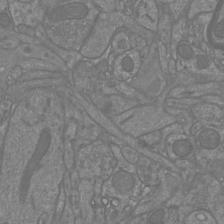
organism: Mouse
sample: Cortical neurons